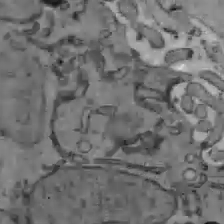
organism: C57BL Mouse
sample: Liver